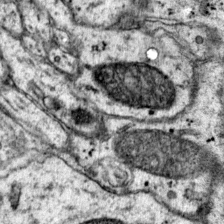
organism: Mouse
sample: Primary visual cortex